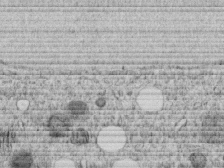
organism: C. elegans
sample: C. elegans embryo early stage